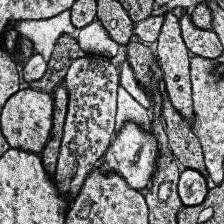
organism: Human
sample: Temporal Lobe